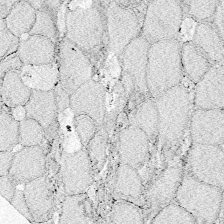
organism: Zebrafish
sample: Whole-Brain